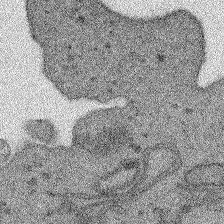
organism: Human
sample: HeLa cells